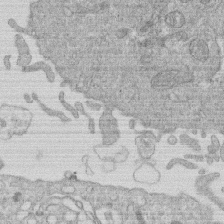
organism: Human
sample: Macrophage cells